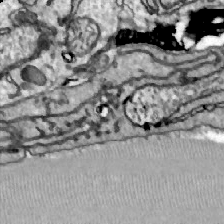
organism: Zebrafish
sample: Actinotrichia fibers